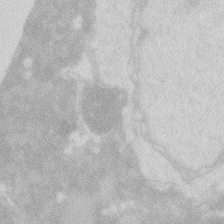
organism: Zebrafish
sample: Macrophage